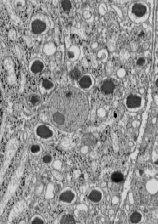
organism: C57BL Mouse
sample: Pancreatic islet